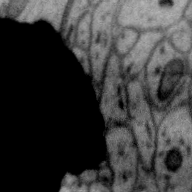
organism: Zebra finch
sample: Brain